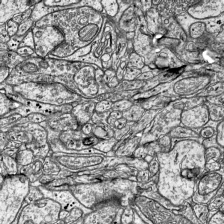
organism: Mouse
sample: Visual Cortex